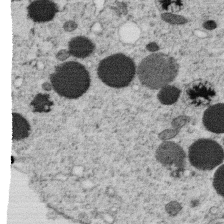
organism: C. elegans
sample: C. elegans oocyte; sperm cells